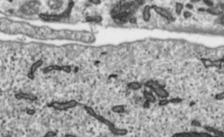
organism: Toxoplasma gondii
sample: Parasites in a vacuole inside a host cell